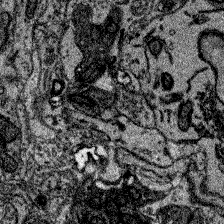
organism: Zebrafish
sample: Larval olfactory bulb